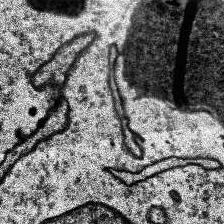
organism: Human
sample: Temporal Lobe